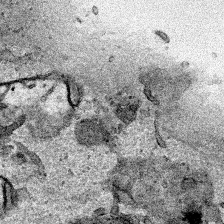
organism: Human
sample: Mitochondria in HCT116 cells